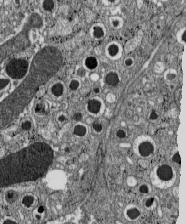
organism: C57BL Mouse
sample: Pancreatic islet